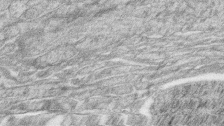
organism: Zebrafish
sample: synaptic ribbons in rod cells and cone cells